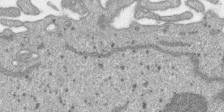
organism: Human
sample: Lung epithelial cells infected with SARS-CoV-2